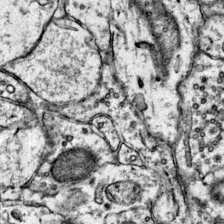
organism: Mouse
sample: Primary visual cortex